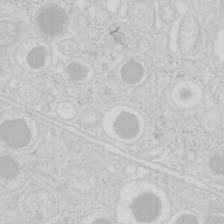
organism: Mouse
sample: Pancreas